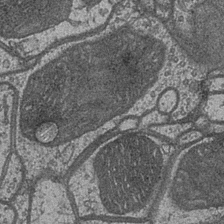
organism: Drosophila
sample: Optic medulla